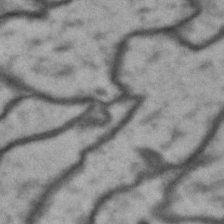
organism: Drosophila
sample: Brain